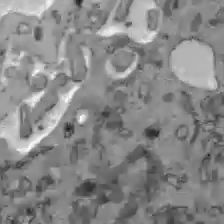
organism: C57BL Mouse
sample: Liver